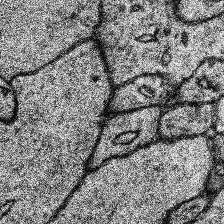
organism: Human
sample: Temporal Lobe